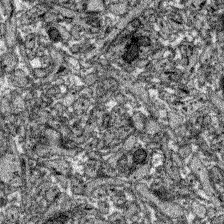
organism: Zebrafish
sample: Larval olfactory bulb